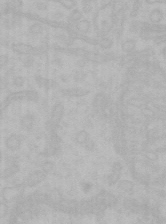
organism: Mouse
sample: Choroid plexus